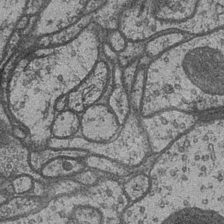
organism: Drosophila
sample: Optic medulla